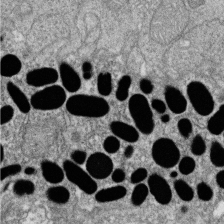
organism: Zebrafish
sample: Cilia; retinal pigment epithelium